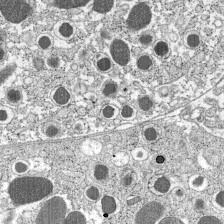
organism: C57BL Mouse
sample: Pancreatic islet